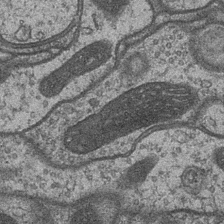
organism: Drosophila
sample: Optic medulla